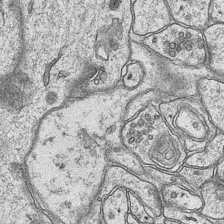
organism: Mouse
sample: CA1 Hippocampus